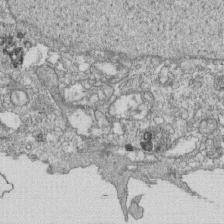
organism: Human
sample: HeLa cell HIV synapse